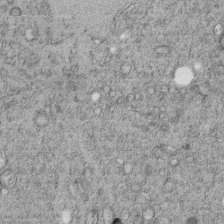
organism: C. elegans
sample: C. elegans embryo early stage